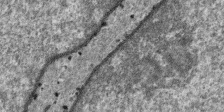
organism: Human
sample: Lung epithelial cells, uninfected (mock) control